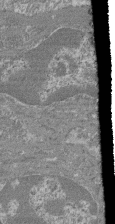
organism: Mouse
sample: Glomerulus